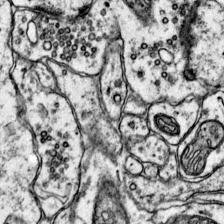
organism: Mouse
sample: Primary visual cortex